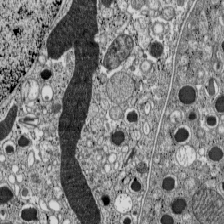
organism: C57BL Mouse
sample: Pancreatic islet